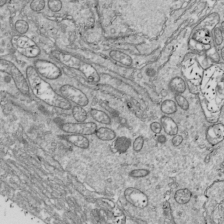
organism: Drosophila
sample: Cell division; meiosis; drosophila spermatocytes